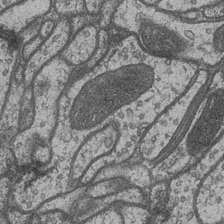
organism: Drosophila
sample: Optic medulla